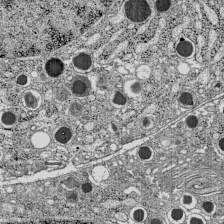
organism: C57BL Mouse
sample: Pancreatic islet